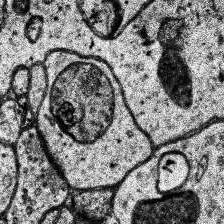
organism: Human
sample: Temporal Lobe